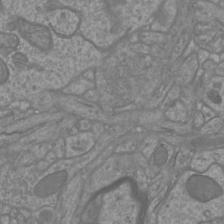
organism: Mouse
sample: Cortical neurons